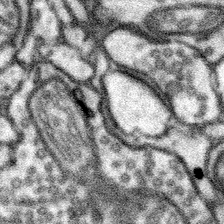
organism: Mouse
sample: Somatosensory cortex neuropil